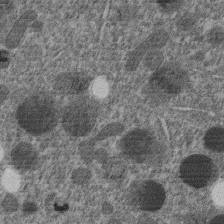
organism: C. elegans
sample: C. elegans embryo early stage